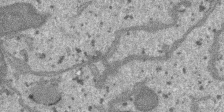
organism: Human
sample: Lung epithelial cells infected with SARS-CoV-2